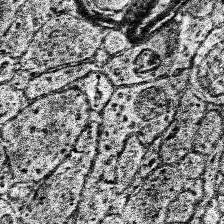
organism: Human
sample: Temporal Lobe